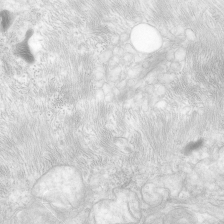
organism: Human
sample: Neocortex